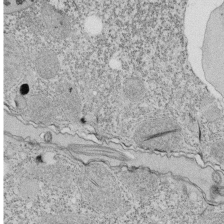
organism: Tetrahymena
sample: Cilia in tetrahymena